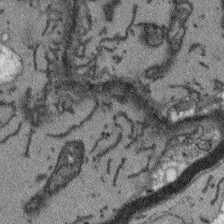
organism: Arabidopsis thaliana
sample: Root tip